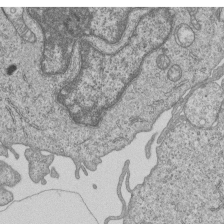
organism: Human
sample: MDA-MB-231 cells